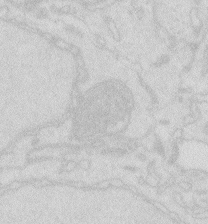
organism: Zebrafish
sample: Macrophage